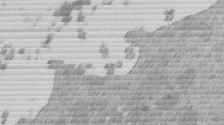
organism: Mouse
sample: Dividing mouse embryo 1 cell stage